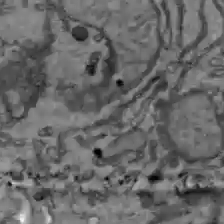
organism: C57BL Mouse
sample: Liver